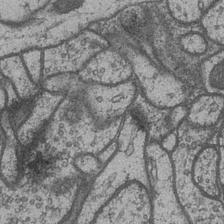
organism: Drosophila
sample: Optic medulla